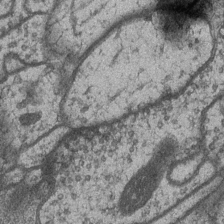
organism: Drosophila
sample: Optic medulla